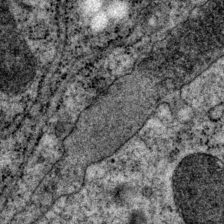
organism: P. pacificus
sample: Pharynx